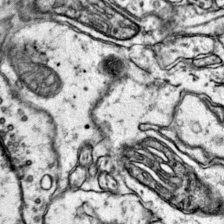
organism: Mouse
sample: Primary visual cortex